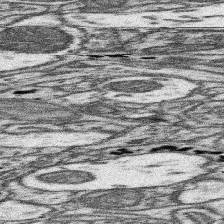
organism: Mouse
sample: Somatosensory cortex neuropil